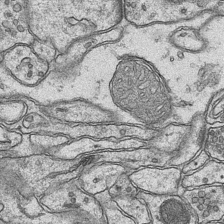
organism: Mouse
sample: CA1 Hippocampus